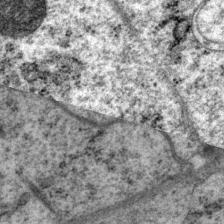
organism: P. pacificus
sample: Pharynx